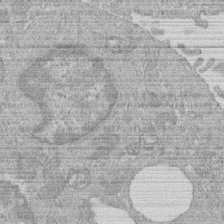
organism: Human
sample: Macrophage cells